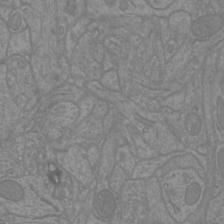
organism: Mouse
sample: Cortical neurons